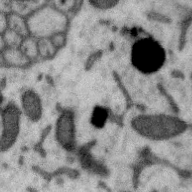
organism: Zebra finch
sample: Brain